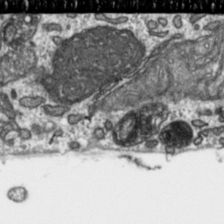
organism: Toxoplasma gondii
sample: Parasites in a vacuole inside a host cell